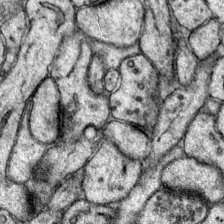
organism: Mouse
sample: Primary visual cortex